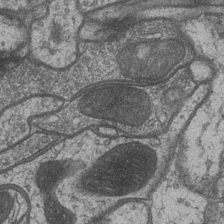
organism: Drosophila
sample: Optic medulla